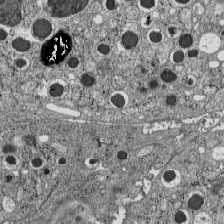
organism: C57BL Mouse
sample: Pancreatic islet